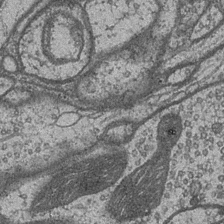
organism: Drosophila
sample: Optic medulla